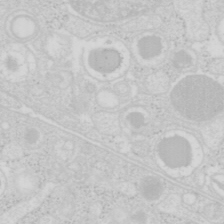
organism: Mouse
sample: Pancreas